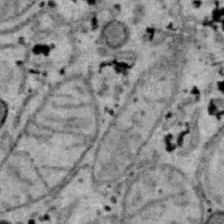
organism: Mouse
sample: Liver from an obese (ob/ob) mouse